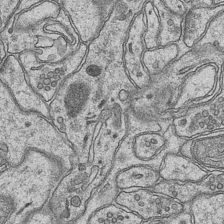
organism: Mouse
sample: CA1 Hippocampus